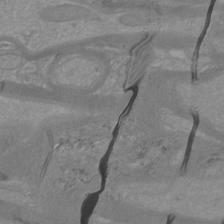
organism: Mouse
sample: Cortical neurons